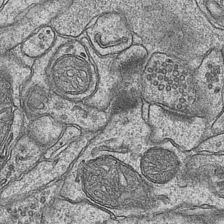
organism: Mouse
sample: CA1 Hippocampus